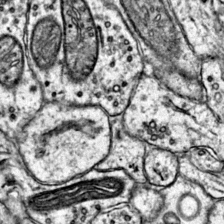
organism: Mouse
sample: Primary visual cortex